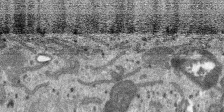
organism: Human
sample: Lung epithelial cells infected with SARS-CoV-2